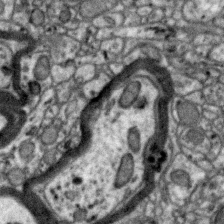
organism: Zebra finch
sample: Brain